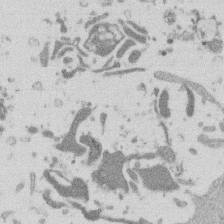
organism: Mouse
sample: Dividing mouse embryo 1 cell stage